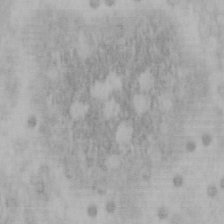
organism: Mouse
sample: OT-I killer T cells with ID8 ovarian cancer cells